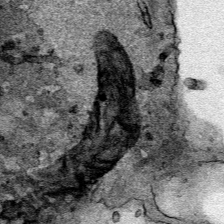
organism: Human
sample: Mitochondria in HCT116 cells